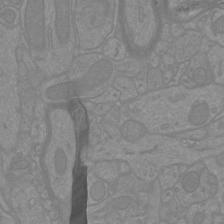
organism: Mouse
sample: Cortical neurons